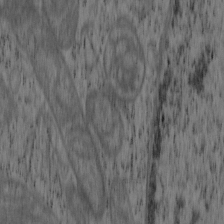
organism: Human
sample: HeLa cells